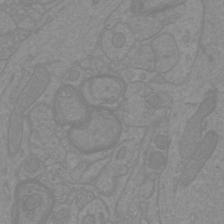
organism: Mouse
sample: Cortical neurons